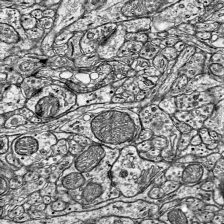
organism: Mouse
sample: Visual Cortex